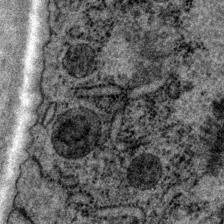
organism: P. pacificus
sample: Pharynx